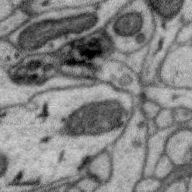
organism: Zebra finch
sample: Brain